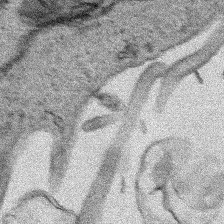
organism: Human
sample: Mitochondria in HCT116 cells